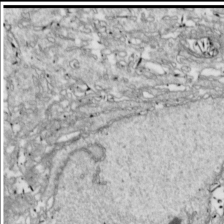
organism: Drosophila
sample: Cell division; meiosis; drosophila spermatocytes